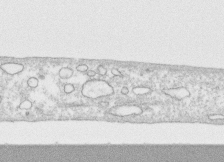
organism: Human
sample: CRL-1474